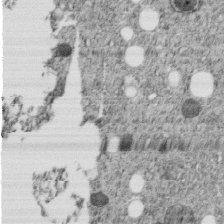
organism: C. elegans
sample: C. elegans embryo early stage